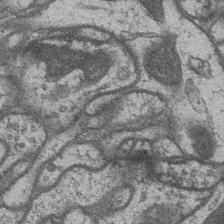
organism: Drosophila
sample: Optic medulla